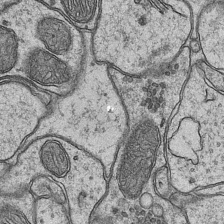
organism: Mouse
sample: CA1 Hippocampus